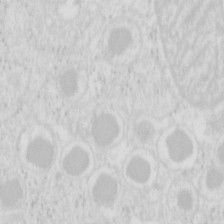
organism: Mouse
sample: Pancreas